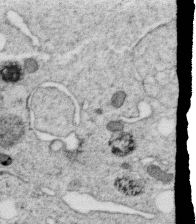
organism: C. elegans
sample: C. elegans oocyte; sperm cells